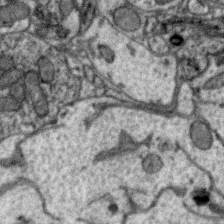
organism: Zebra finch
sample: Brain